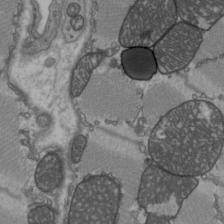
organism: C57BL Mouse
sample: Heart